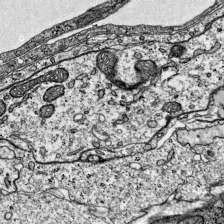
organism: Mouse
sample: Visual Cortex